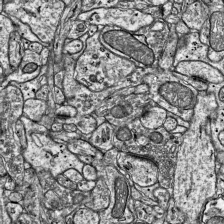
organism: Mouse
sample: Visual Cortex